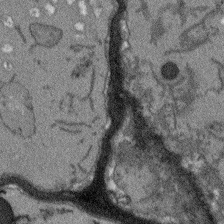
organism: Arabidopsis thaliana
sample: Root tip